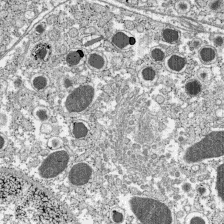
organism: C57BL Mouse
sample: Pancreatic islet